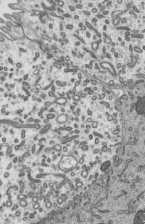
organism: Mouse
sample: Mouse epididymis efferent ductule cilia